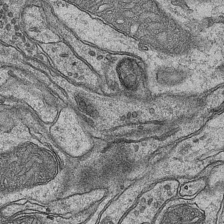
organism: Mouse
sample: CA1 Hippocampus